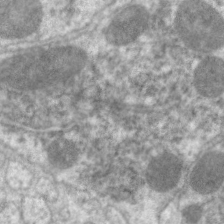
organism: C. elegans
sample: Pharynx